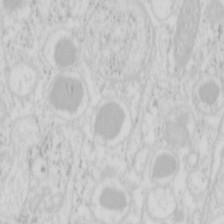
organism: Mouse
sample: Pancreas